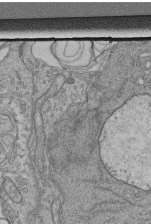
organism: Human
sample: Retinal organoid Rod and Cone cells